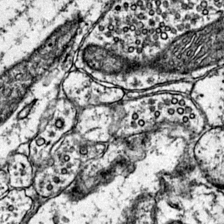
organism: Mouse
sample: Primary visual cortex